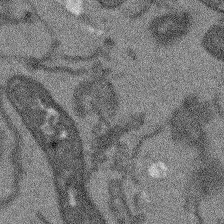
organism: Arabidopsis thaliana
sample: Root tip